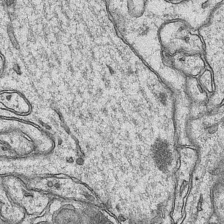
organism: Mouse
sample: CA1 Hippocampus